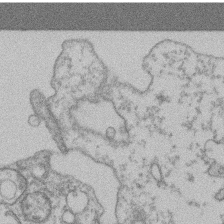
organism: Mouse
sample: T cell stromal cell synapse